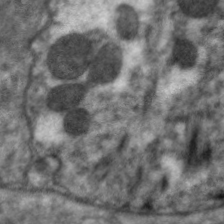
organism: C. elegans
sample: Pharynx